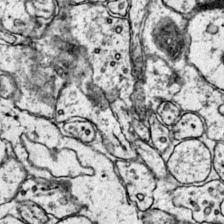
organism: Mouse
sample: Primary visual cortex